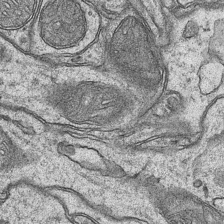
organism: Mouse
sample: CA1 Hippocampus